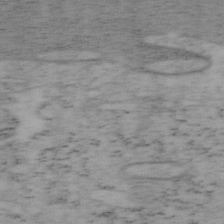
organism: Mouse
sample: OT-I killer T cells with ID8 ovarian cancer cells